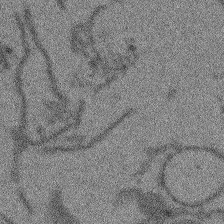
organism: Arabidopsis thaliana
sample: Root tip